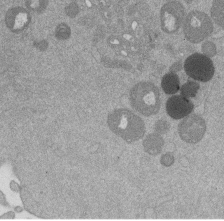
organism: Mouse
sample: Dividing mouse embryo 1 cell stage